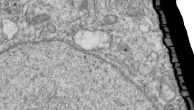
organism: Human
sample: HeLa cell HIV synapse